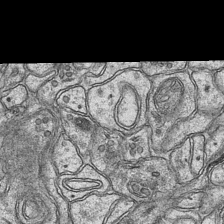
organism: Mouse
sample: CA1 Hippocampus